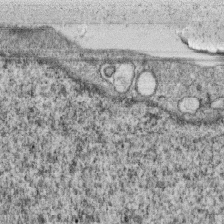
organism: African green monkey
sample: Vero E6 cells infected with SARS-CoV-2